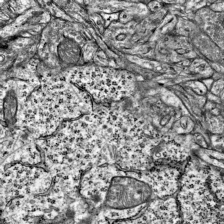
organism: Mouse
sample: Visual Cortex